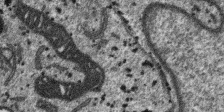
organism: Human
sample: Lung epithelial cells infected with SARS-CoV-2